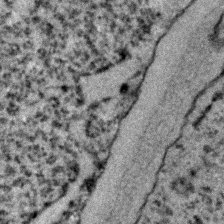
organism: C. elegans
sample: C. elegans embryo